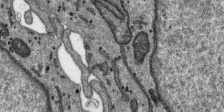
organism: Human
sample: Lung epithelial cells, uninfected (mock) control